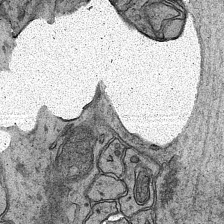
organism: Mouse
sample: CA1 Hippocampus